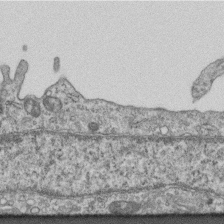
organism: Mouse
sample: Centriole in ependymal cells